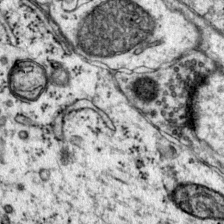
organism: Mouse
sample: Primary visual cortex